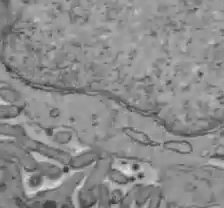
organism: C57BL Mouse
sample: Liver